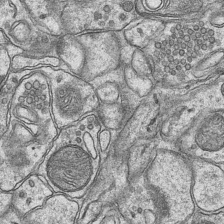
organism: Mouse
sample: CA1 Hippocampus